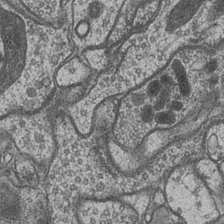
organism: Drosophila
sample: Optic medulla